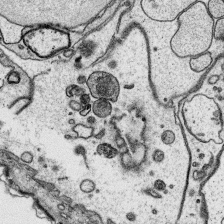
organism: Platynereis dumerilii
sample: Parapodia